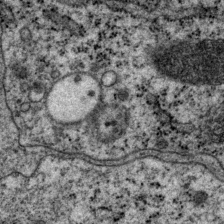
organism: P. pacificus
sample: Pharynx